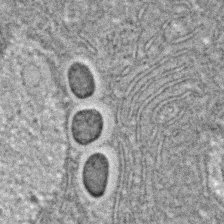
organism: C. elegans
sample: C. elegans embryo